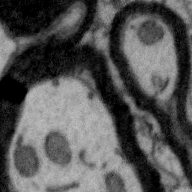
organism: Zebra finch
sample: Brain